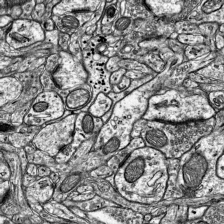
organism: Mouse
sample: Visual Cortex